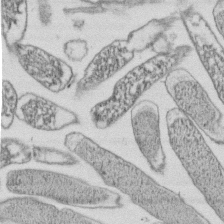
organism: E. coli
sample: Bacterial nucleoid